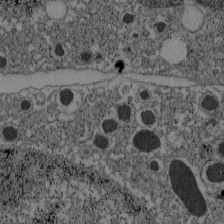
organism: C57BL Mouse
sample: Pancreatic islet